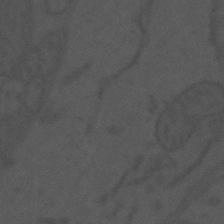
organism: Mouse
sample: Suprachiasmatic nucleus